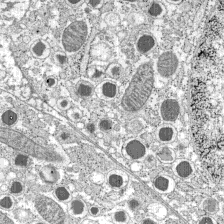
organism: C57BL Mouse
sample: Pancreatic islet